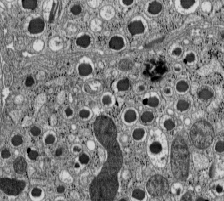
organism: C57BL Mouse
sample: Pancreatic islet